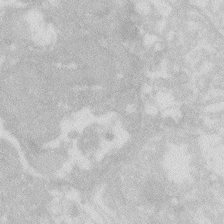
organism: Zebrafish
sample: Macrophage